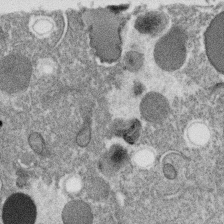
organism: C. elegans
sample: C. elegans oocyte; sperm cells